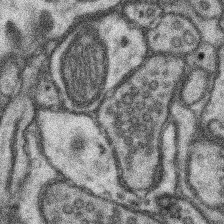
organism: Mouse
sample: Somatosensory cortex neuropil